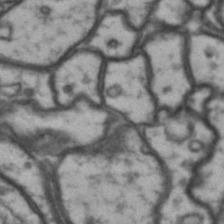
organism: Drosophila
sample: Brain